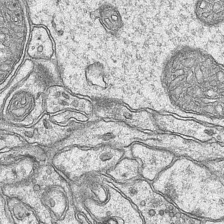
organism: Mouse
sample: CA1 Hippocampus